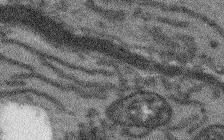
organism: Arabidopsis thaliana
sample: Root tip